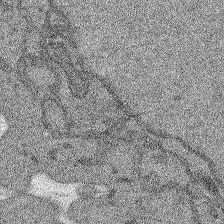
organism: Human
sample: HeLa cells